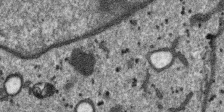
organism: Human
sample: Lung epithelial cells infected with SARS-CoV-2